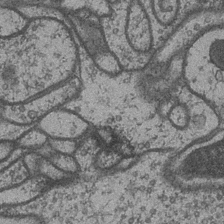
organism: Drosophila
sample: Optic medulla